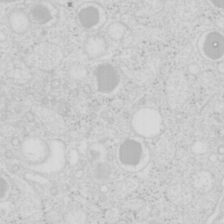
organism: Mouse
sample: Pancreas